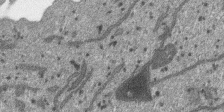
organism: Human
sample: Lung epithelial cells infected with SARS-CoV-2